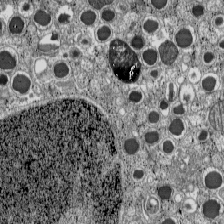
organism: C57BL Mouse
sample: Pancreatic islet